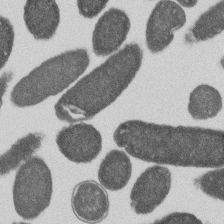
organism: E. coli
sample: Bacterial nucleoid